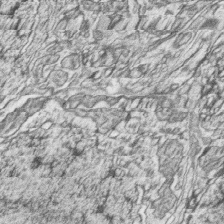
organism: Zebrafish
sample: synaptic ribbons in rod cells and cone cells